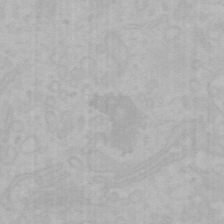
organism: Mouse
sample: Choroid plexus